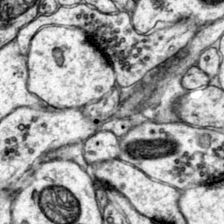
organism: Mouse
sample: Primary visual cortex